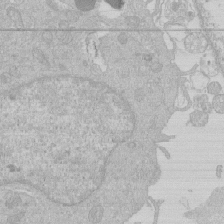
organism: Human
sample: Macrophage cells